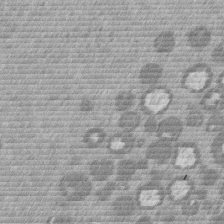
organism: Mouse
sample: Dividing mouse embryo 1 cell stage